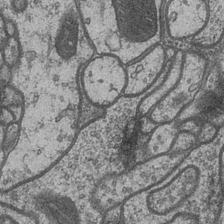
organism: Drosophila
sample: Optic medulla